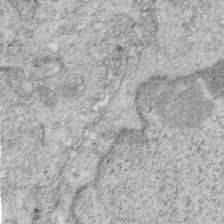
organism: Mouse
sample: Multiciliated cells